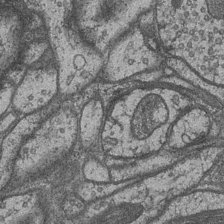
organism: Drosophila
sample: Optic medulla